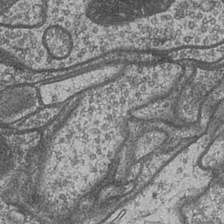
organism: Drosophila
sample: Optic medulla